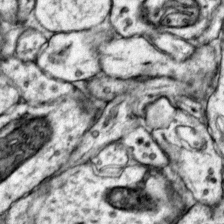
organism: Mouse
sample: Primary visual cortex